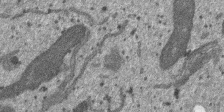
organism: Human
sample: Lung epithelial cells infected with SARS-CoV-2